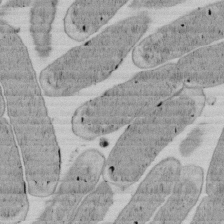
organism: E. coli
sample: Bacterial nucleoid